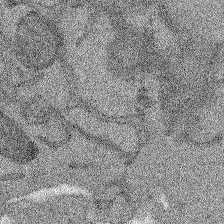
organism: Human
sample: HeLa cells